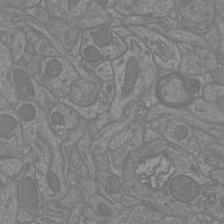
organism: Mouse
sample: Cortical neurons